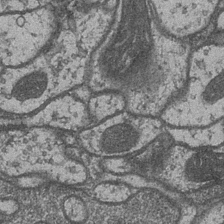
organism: Drosophila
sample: Optic medulla